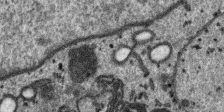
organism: Human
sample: Lung epithelial cells infected with SARS-CoV-2